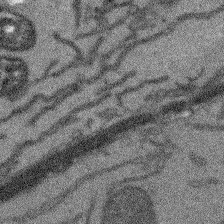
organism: Arabidopsis thaliana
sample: Root tip